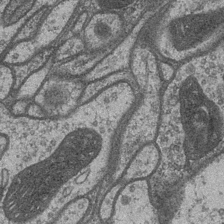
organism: Drosophila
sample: Optic medulla